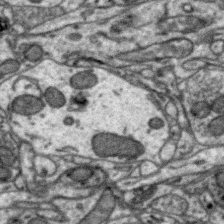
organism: Zebra finch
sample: Brain